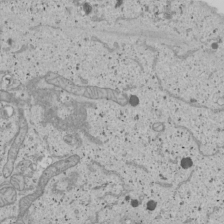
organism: Human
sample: Mitochondria in U2OS cells